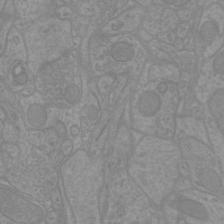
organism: Mouse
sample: Cortical neurons